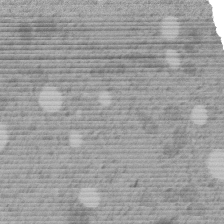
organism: C. elegans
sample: C. elegans embryo early stage